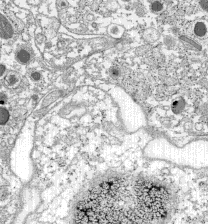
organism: C57BL Mouse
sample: Pancreatic islet